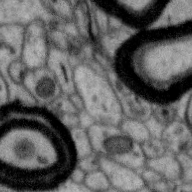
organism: Zebra finch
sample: Brain